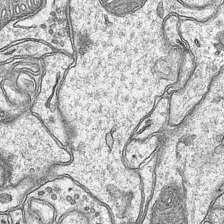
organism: Mouse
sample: CA1 Hippocampus